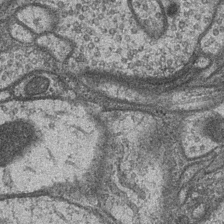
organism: Drosophila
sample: Optic medulla